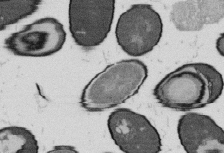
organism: B. subtilis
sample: Bacterial spore